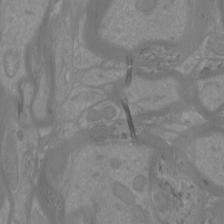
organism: Mouse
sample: Cortical neurons